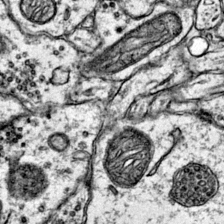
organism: Mouse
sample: Primary visual cortex